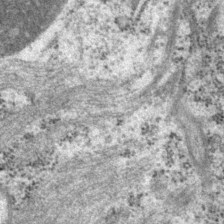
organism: P. pacificus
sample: Pharynx